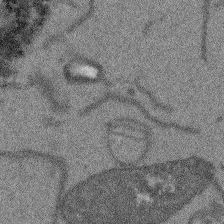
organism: Arabidopsis thaliana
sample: Root tip